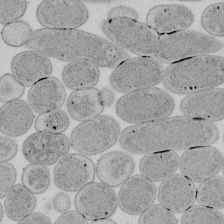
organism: E. coli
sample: Bacterial nucleoid